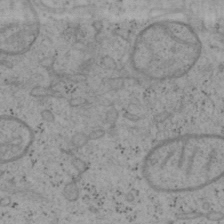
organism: Human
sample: HeLa cells